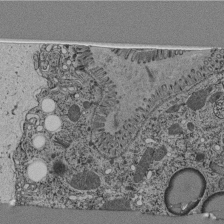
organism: C. elegans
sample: C. elegans pharynx